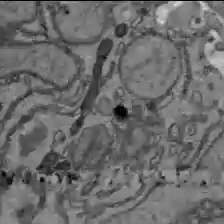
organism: C57BL Mouse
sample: Liver